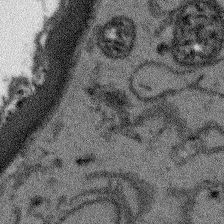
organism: Arabidopsis thaliana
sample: Root tip